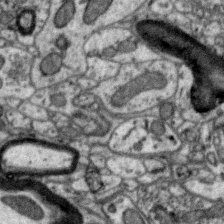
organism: Zebra finch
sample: Brain